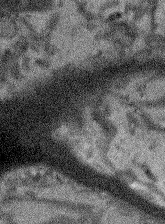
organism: Arabidopsis thaliana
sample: Root tip